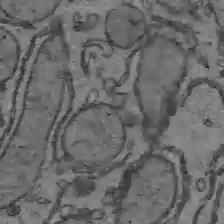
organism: C57BL Mouse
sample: Liver